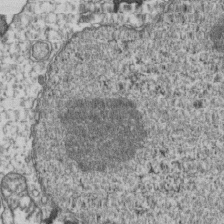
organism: Human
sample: Activated Jurkat CD4+ T cells